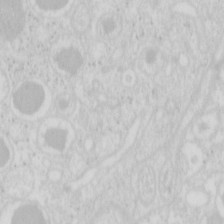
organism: Mouse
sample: Pancreas